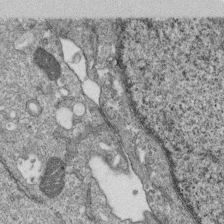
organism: African green monkey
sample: Vero E6 cells infected with SARS-CoV-2